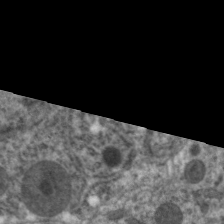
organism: C. elegans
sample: Pharynx